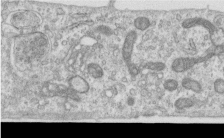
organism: Human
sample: Centriole in RPE cells